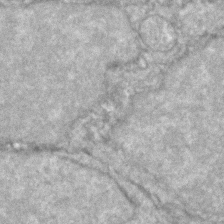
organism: Zebrafish